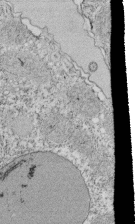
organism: Tetrahymena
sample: Cilia in tetrahymena